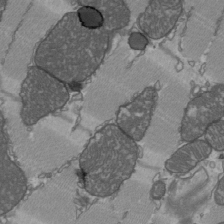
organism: C57BL Mouse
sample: Heart